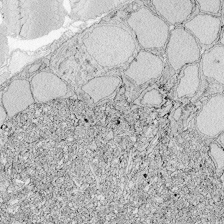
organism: Zebrafish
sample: Whole-Brain